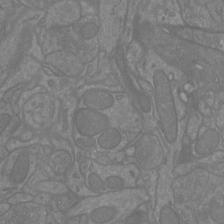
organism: Mouse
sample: Cortical neurons